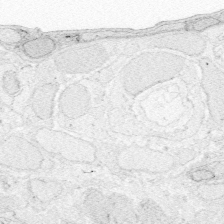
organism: Zebrafish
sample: Whole-Brain